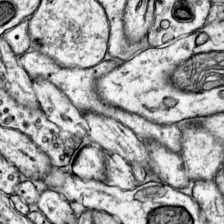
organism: Mouse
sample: Primary visual cortex